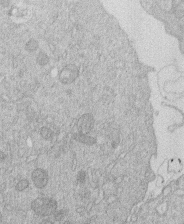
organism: Human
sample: Macrophage cells